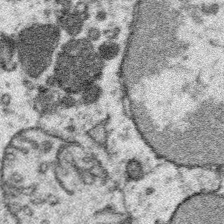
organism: Platynereis dumerilii